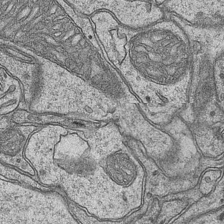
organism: Mouse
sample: CA1 Hippocampus